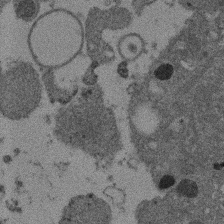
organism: Mouse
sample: Dividing mouse embryo 1 cell stage